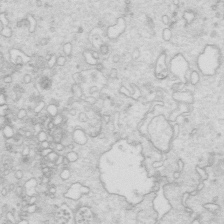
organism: Mouse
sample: Multiciliated cells